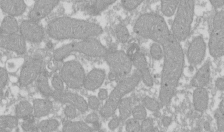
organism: Xenopus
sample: Cilia; centrioles in frog embryo cells